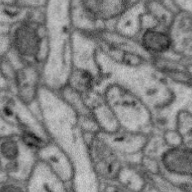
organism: Zebra finch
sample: Brain